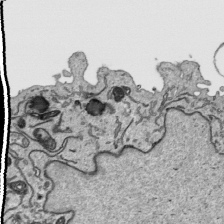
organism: Human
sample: Mitochondria in HCT116 cells